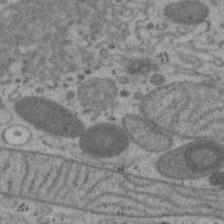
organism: Human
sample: HeLa cells